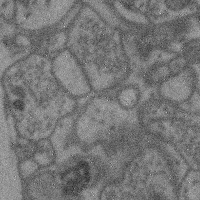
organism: Mouse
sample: Cerebral cortex